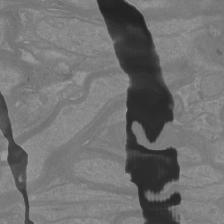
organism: Mouse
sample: Cortical neurons